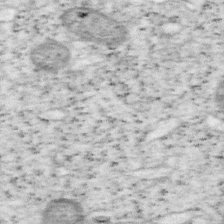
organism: Mouse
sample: OT-I killer T cells with ID8 ovarian cancer cells